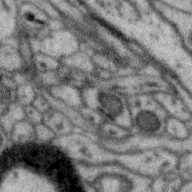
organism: Zebra finch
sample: Brain